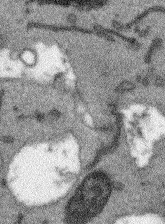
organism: Arabidopsis thaliana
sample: Root tip